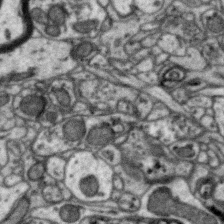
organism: Zebra finch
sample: Brain